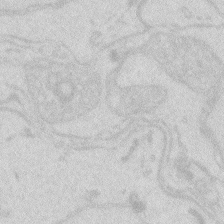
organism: Zebrafish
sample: Macrophage